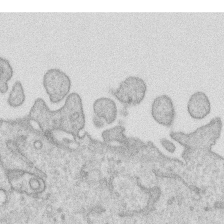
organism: Human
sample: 1205lu cells